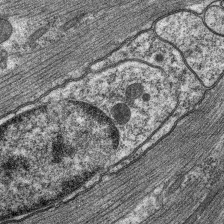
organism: C. elegans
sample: Pharynx